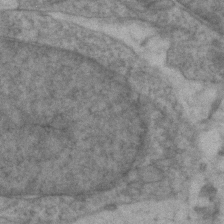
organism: Zebrafish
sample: Zebrafish embryo